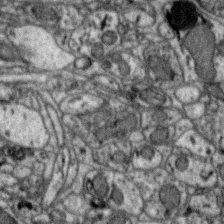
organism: Zebra finch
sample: Brain